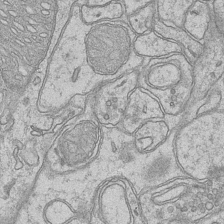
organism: Mouse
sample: CA1 Hippocampus